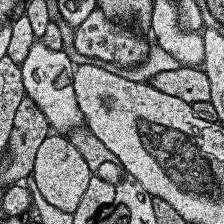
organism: Human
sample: Temporal Lobe